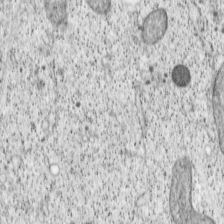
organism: African green monkey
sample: COS-7 cells